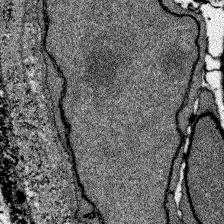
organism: Zebrafish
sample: Larval olfactory bulb